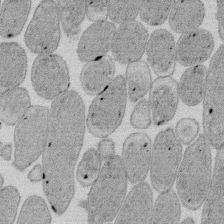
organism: E. coli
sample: Bacterial nucleoid